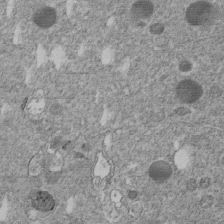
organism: C. elegans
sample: C. elegans embryo early stage